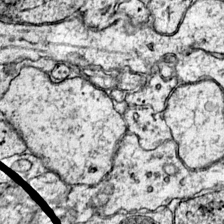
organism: Mouse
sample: Primary visual cortex